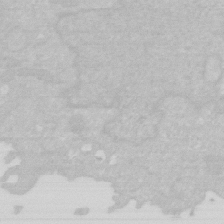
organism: Human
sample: HIV infected U937 cells